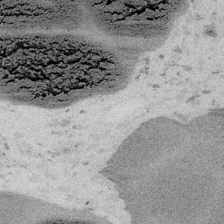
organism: Embia sp.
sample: Silk gland